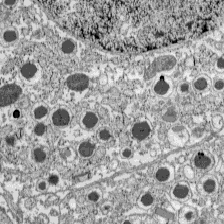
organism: C57BL Mouse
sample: Pancreatic islet